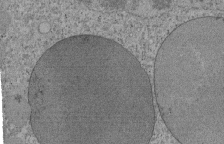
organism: Tetrahymena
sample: Cilia in tetrahymena